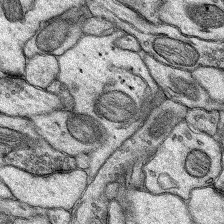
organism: Rat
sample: Hippocampus